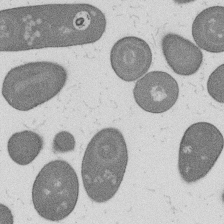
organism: B. subtilis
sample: Bacterial spore